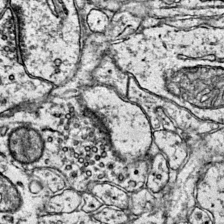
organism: Mouse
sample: Primary visual cortex